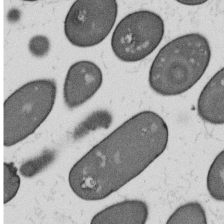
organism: B. subtilis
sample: Bacterial spore